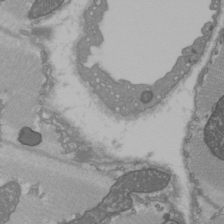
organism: C57BL Mouse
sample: Heart